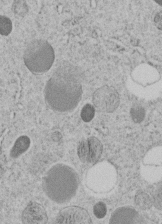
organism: C. elegans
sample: C. elegans embryo early stage